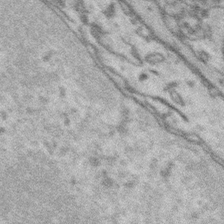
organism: Platynereis dumerilii